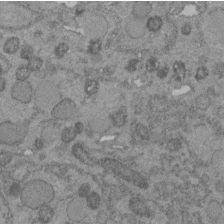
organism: C. elegans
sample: C. elegans embryo early stage